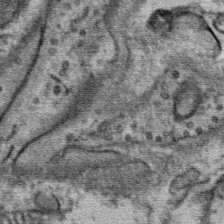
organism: Mouse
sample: Mouse Salivary gland